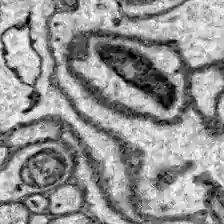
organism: Zebrafish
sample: Brain